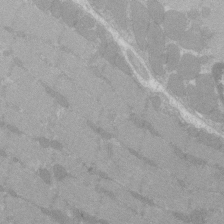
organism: C57BL Mouse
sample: Tibialis anterior muscle cell